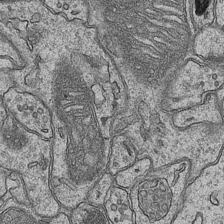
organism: Mouse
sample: CA1 Hippocampus